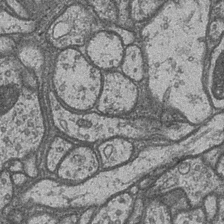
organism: Drosophila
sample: Optic medulla